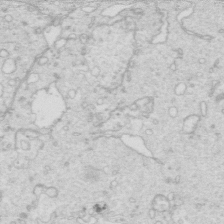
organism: Mouse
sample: Multiciliated cells